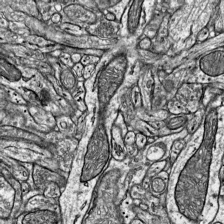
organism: Mouse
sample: Visual Cortex